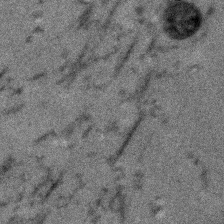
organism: Human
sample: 1205lu cells